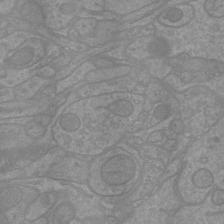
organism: Mouse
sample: Cortical neurons